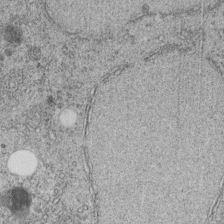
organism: C. elegans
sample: C. elegans embryo early stage